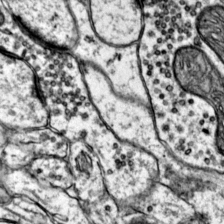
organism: Mouse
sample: Primary visual cortex